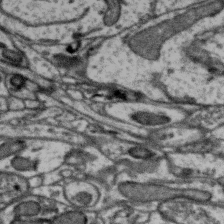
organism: Zebra finch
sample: Brain